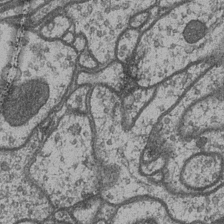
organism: Drosophila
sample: Optic medulla